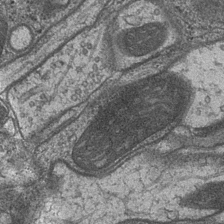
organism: Drosophila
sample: Optic medulla